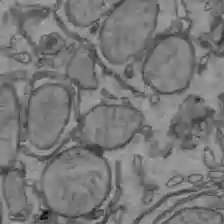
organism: C57BL Mouse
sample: Liver